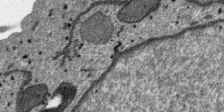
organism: Human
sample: Lung epithelial cells, uninfected (mock) control